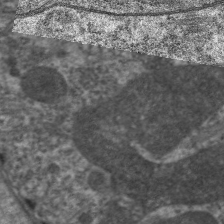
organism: C. elegans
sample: Pharynx